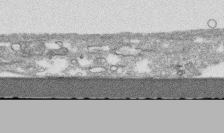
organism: Human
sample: CRL-1474